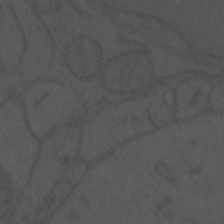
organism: Mouse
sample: Suprachiasmatic nucleus